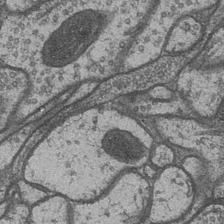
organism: Drosophila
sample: Optic medulla